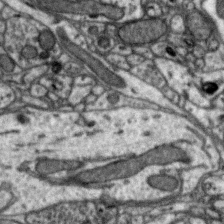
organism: Zebra finch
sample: Brain